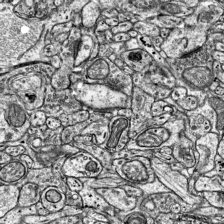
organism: Mouse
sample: Visual Cortex